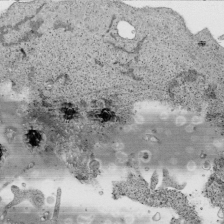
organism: Human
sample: Mitochondria in HCT116 cells